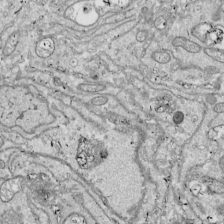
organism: Drosophila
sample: Cell division; meiosis; drosophila spermatocytes